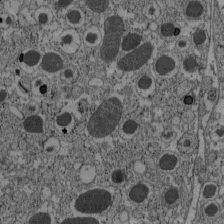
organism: C57BL Mouse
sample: Pancreatic islet